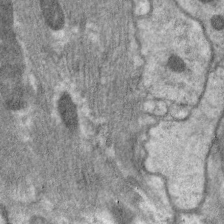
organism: C. elegans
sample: Pharynx